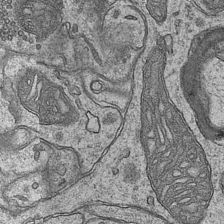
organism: Mouse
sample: CA1 Hippocampus